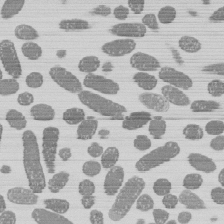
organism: E. coli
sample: Bacterial nucleoid